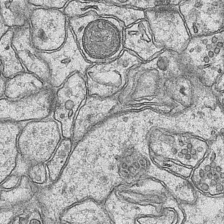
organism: Mouse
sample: CA1 Hippocampus